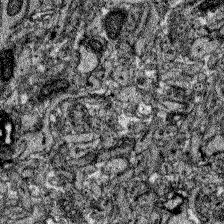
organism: Zebrafish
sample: Larval olfactory bulb